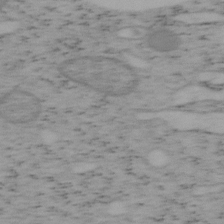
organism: Mouse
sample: OT-I killer T cells with ID8 ovarian cancer cells